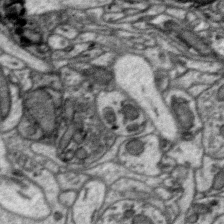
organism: Zebra finch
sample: Brain